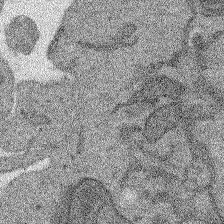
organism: Human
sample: HeLa cells